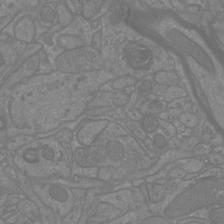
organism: Mouse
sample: Cortical neurons